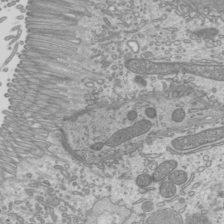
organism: Mouse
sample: Cilia; mouse epididymis